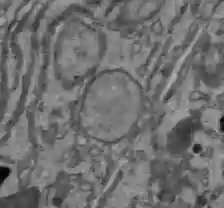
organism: C57BL Mouse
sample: Liver